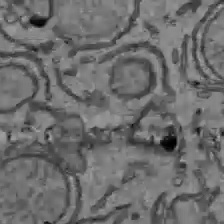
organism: C57BL Mouse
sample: Liver